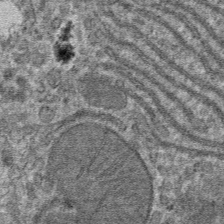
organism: Mouse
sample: Mouse hepatocytes